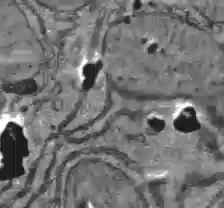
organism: C57BL Mouse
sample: Liver